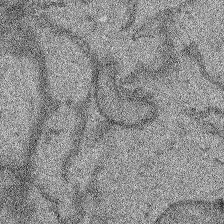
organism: Human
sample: HeLa cells